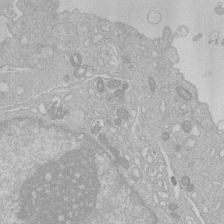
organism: Human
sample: Macrophage cells